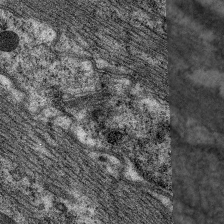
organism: C. elegans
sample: Pharynx